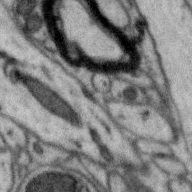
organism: Zebra finch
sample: Brain